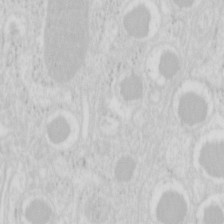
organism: Mouse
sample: Pancreas